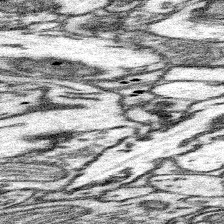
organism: Mouse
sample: Somatosensory cortex neuropil